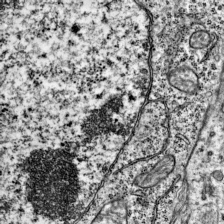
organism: Mouse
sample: Visual Cortex